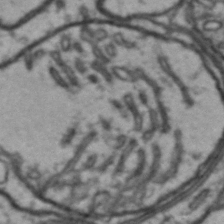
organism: Drosophila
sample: Brain